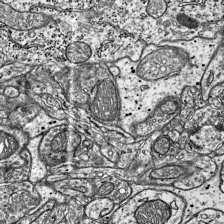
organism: Mouse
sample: Visual Cortex